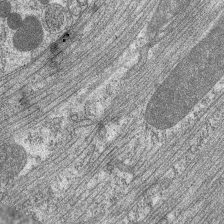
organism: C. elegans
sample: Pharynx